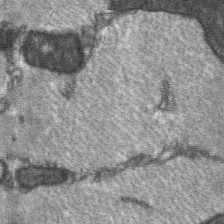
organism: C57BL Mouse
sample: Soleus